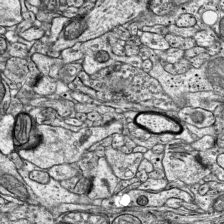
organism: Mouse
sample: Visual Cortex